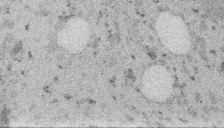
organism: Embia sp.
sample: Silk gland